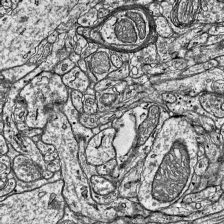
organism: Mouse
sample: Visual Cortex